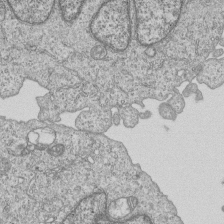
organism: Human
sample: MDA-MB-231 cells